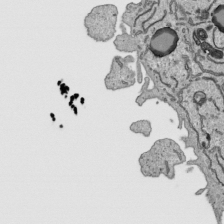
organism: Human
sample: Mitochondria in HCT116 cells